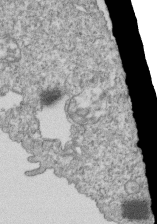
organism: Human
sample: HeLa cell HIV synapse